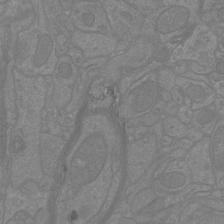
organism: Mouse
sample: Cortical neurons